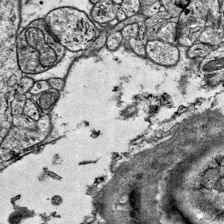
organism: Mouse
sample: Visual Cortex